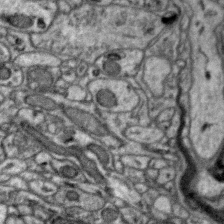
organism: Zebra finch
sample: Brain